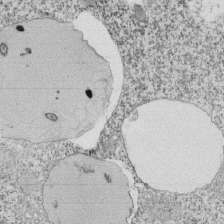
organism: Tetrahymena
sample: Cilia in tetrahymena